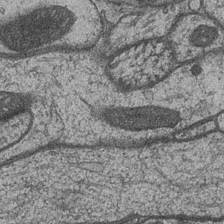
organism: Drosophila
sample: Optic medulla